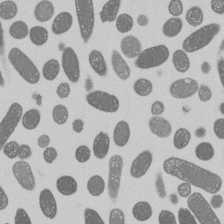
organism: E. coli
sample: Bacterial nucleoid